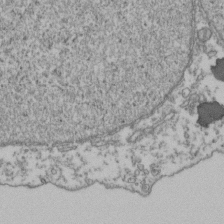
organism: Human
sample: Activated Jurkat CD4+ T cells